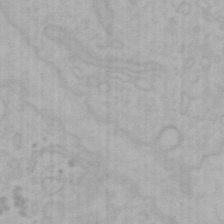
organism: Mouse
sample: Choroid plexus